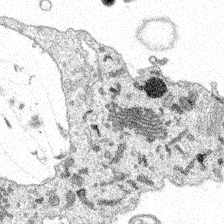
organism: Spongilla lacustris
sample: Multiple